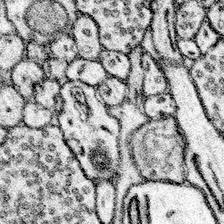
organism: Mouse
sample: Somatosensory cortex neuropil